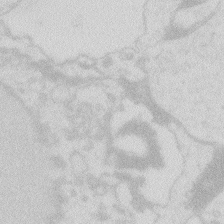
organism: Zebrafish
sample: Macrophage